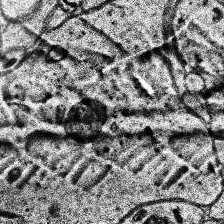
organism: Human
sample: Temporal Lobe